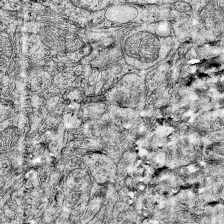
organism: Mouse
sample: Visual Cortex